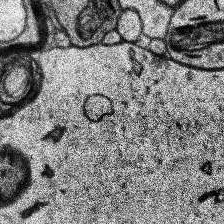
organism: Human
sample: Temporal Lobe